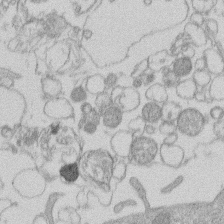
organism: Human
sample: Macrophage cells